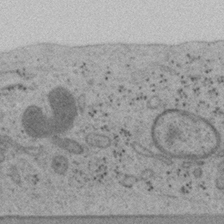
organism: Human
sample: HeLa cells